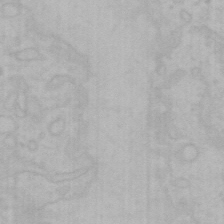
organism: Mouse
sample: Choroid plexus